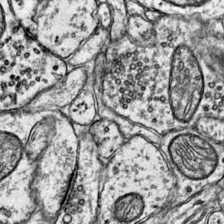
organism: Mouse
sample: Primary visual cortex